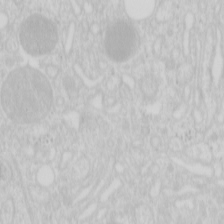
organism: Mouse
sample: Pancreas